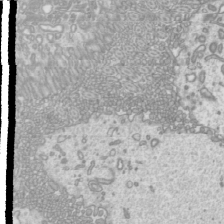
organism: Mouse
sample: Cilia; mouse epididymis